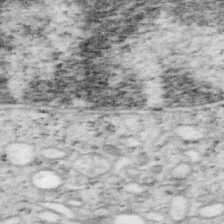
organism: Mouse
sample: OT-I killer T cells with ID8 ovarian cancer cells